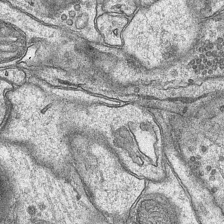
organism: Mouse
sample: CA1 Hippocampus